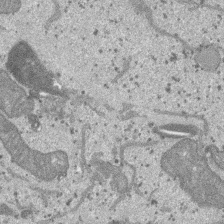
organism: Human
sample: Lung epithelial cells infected with SARS-CoV-2